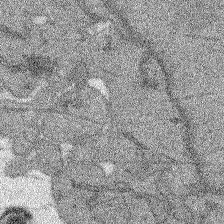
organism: Human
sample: HeLa cells